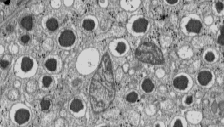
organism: C57BL Mouse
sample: Pancreatic islet